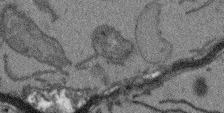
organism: Arabidopsis thaliana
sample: Root tip